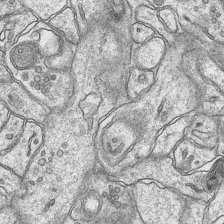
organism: Mouse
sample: CA1 Hippocampus